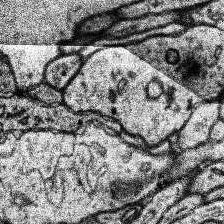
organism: Human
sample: Temporal Lobe